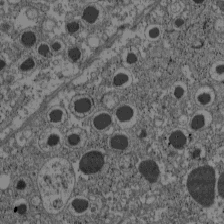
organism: C57BL Mouse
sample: Pancreatic islet